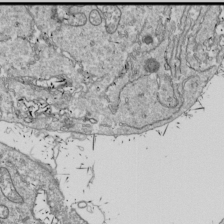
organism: Drosophila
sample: Cell division; meiosis; drosophila spermatocytes